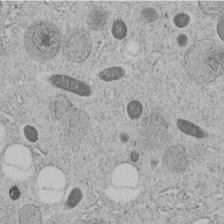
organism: C. elegans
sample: C. elegans embryo early stage